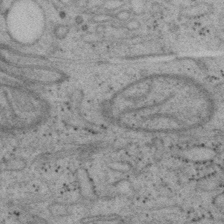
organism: Human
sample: HeLa cells